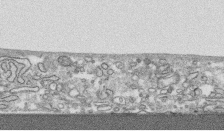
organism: Human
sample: CRL-1474